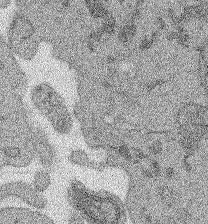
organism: Human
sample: HeLa cells